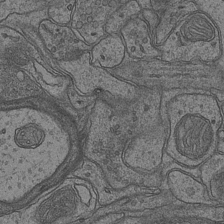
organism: Mouse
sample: CA1 Hippocampus